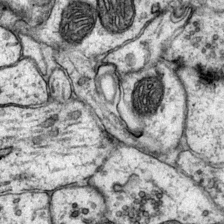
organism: Mouse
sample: Primary visual cortex